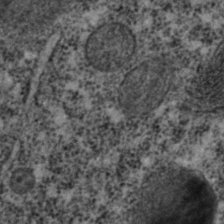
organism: C. elegans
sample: C. elegans embryo